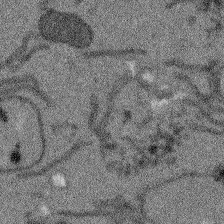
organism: Arabidopsis thaliana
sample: Root tip